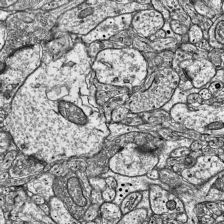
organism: Mouse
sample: Visual Cortex